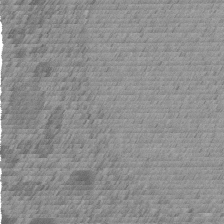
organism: C. elegans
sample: C. elegans embryo early stage